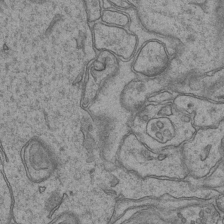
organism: Mouse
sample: CA1 Hippocampus